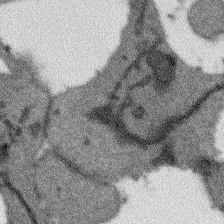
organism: Arabidopsis thaliana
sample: Root tip